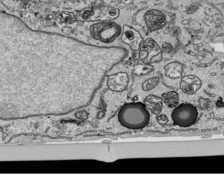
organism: Human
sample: Mitochondria in HCT116 cells